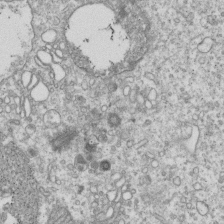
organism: Human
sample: MDA-MB-231 cells